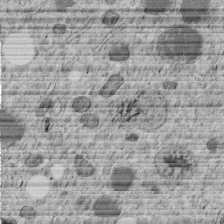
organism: C. elegans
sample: C. elegans embryo early stage